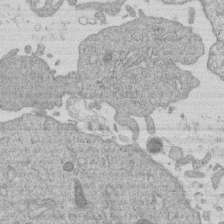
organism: Human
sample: Macrophage cells